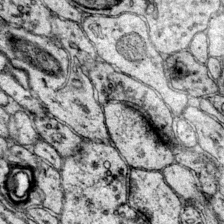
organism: Mouse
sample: Primary visual cortex